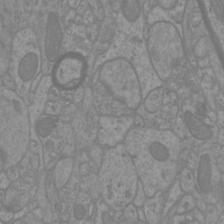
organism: Mouse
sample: Cortical neurons